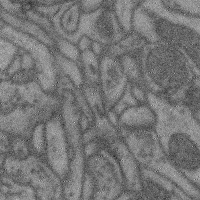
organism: Mouse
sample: Cerebral cortex